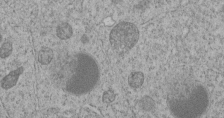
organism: C. elegans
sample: C. elegans embryo early stage